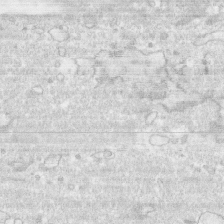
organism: Human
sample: CRL-1474